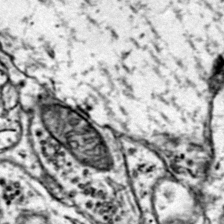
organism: Mouse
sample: Primary visual cortex